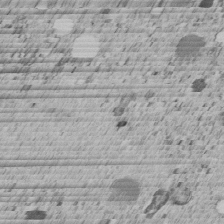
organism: C. elegans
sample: C. elegans embryo early stage